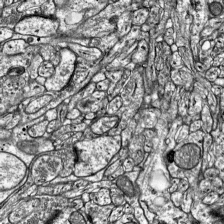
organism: Mouse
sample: Visual Cortex